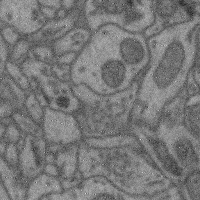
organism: Mouse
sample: Cerebral cortex